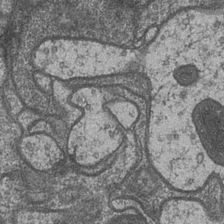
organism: Drosophila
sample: Optic medulla